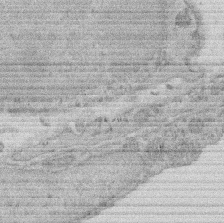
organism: Rat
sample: Salivary granule